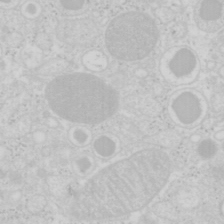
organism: Mouse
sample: Pancreas